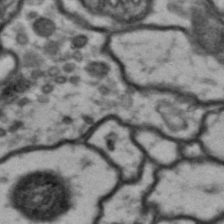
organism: Drosophila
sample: Brain